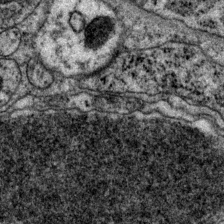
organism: P. pacificus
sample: Pharynx